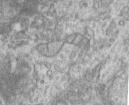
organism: Human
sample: Centriole in RPE cells